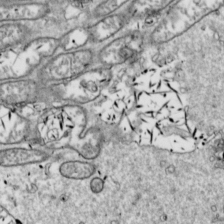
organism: Drosophila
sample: Cell division; meiosis; drosophila spermatocytes